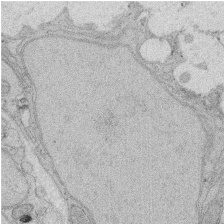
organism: Rat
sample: Salivary granule